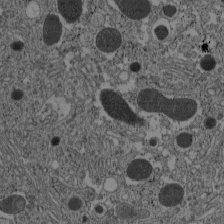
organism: C57BL Mouse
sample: Pancreatic islet